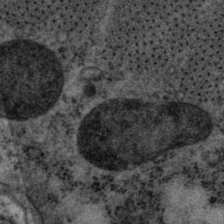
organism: P. pacificus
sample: Pharynx